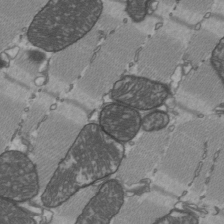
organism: C57BL Mouse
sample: Heart